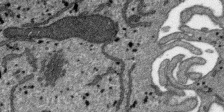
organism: Human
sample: Lung epithelial cells, uninfected (mock) control